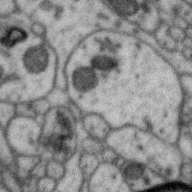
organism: Zebra finch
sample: Brain